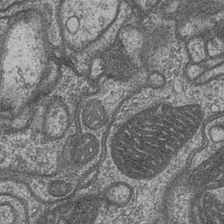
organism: Drosophila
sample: Optic medulla